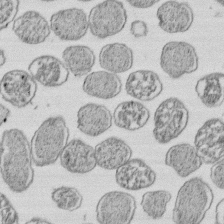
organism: E. coli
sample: Bacterial nucleoid